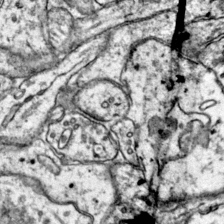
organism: Mouse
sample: Primary visual cortex